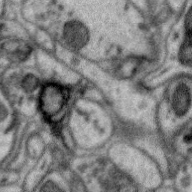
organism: Zebra finch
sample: Brain